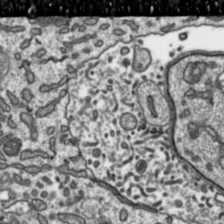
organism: Toxoplasma gondii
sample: Parasites in a vacuole inside a host cell